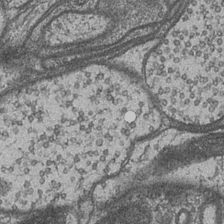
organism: Drosophila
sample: Optic medulla